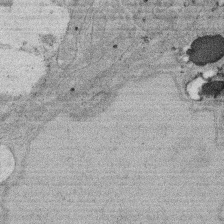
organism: Rat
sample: Salivary granule